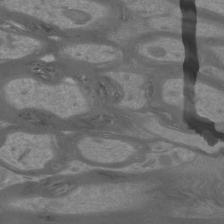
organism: Mouse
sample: Cortical neurons